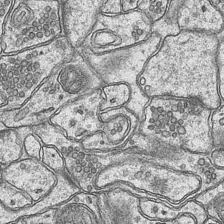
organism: Mouse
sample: CA1 Hippocampus